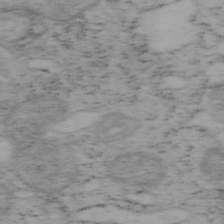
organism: Mouse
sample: OT-I killer T cells with ID8 ovarian cancer cells